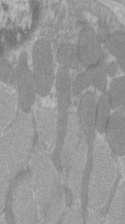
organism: C57BL Mouse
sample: Tibialis anterior muscle cell